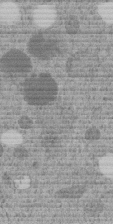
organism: C. elegans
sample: C. elegans embryo early stage